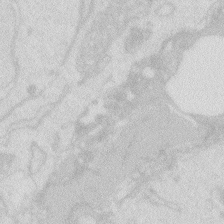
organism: Zebrafish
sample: Macrophage